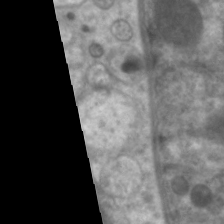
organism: C. elegans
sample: Pharynx